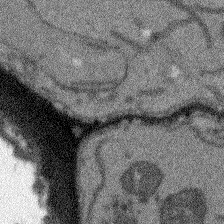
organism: Arabidopsis thaliana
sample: Root tip